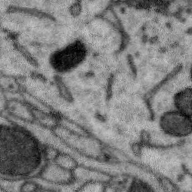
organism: Zebra finch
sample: Brain